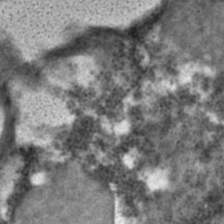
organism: C. elegans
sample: C. elegans embryo